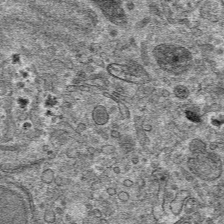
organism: Mouse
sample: Mouse hepatocytes